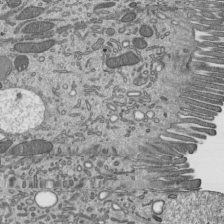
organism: Mouse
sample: Mouse epididymis efferent ductule cilia